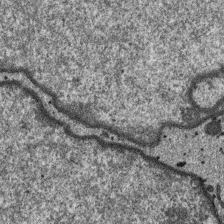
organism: Human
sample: Lung epithelial cells infected with SARS-CoV-2